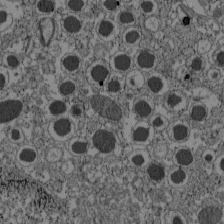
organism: C57BL Mouse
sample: Pancreatic islet